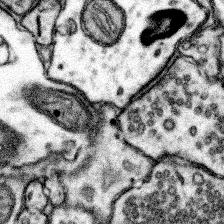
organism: Mouse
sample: Somatosensory cortex neuropil